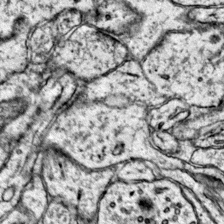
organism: Mouse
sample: Primary visual cortex